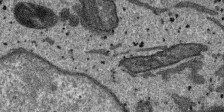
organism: Human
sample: Lung epithelial cells, uninfected (mock) control